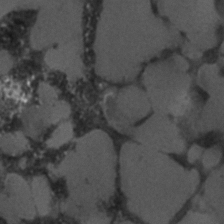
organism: C. elegans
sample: C. elegans embryo